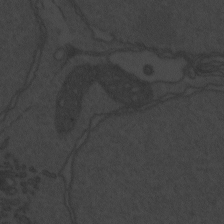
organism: Zebrafish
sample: Macrophage infected with Toxoplasma gondii